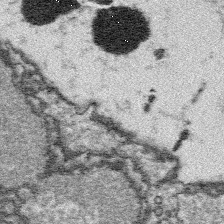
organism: Platynereis dumerilii